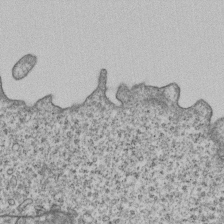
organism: Human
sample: MDA-MB-231 cells